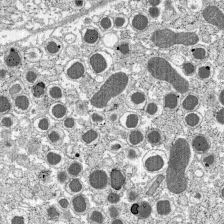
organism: C57BL Mouse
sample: Pancreatic islet